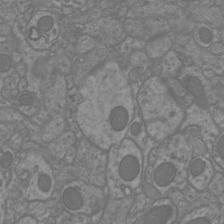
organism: Mouse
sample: Cortical neurons